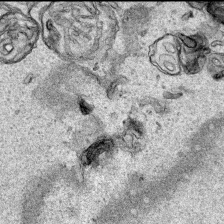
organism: Human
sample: Mitochondria in HCT116 cells